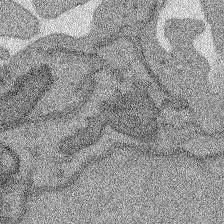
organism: Human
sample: HeLa cells